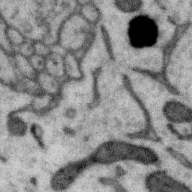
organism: Zebra finch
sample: Brain